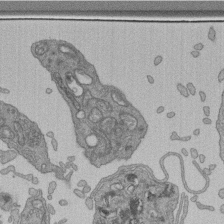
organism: Human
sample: Retinal organoid Rod and Cone cells